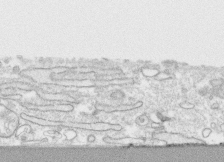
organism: Human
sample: CRL-1474